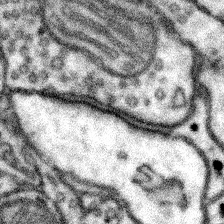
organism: Mouse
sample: Somatosensory cortex neuropil